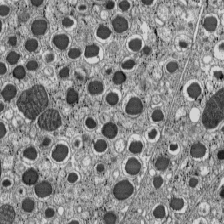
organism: C57BL Mouse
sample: Pancreatic islet